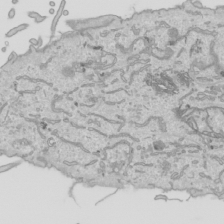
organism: Human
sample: Mitochondria in HCT116 cells